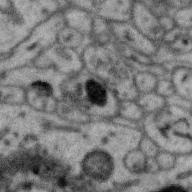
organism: Zebra finch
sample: Brain